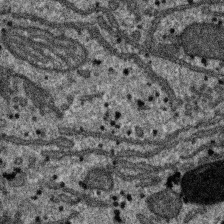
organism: Human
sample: Lung epithelial cells infected with SARS-CoV-2